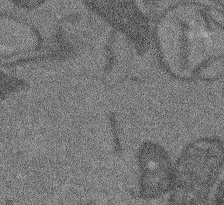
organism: Arabidopsis thaliana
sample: Root tip